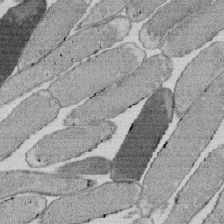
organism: E. coli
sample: Bacterial nucleoid